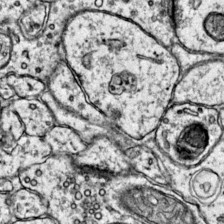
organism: Mouse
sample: Primary visual cortex